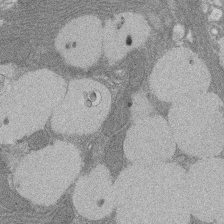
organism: Rat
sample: Salivary granule